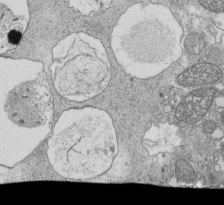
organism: Tetrahymena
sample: Cilia in tetrahymena